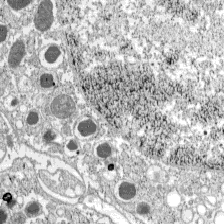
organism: C57BL Mouse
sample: Pancreatic islet